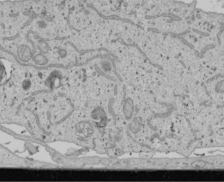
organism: Human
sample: Mitochondria in U2OS cells